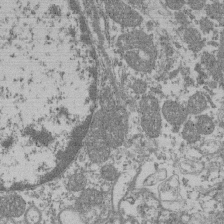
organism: Mouse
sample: Glomerulus